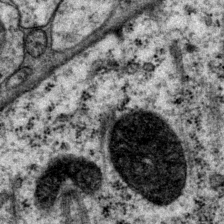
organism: P. pacificus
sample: Pharynx